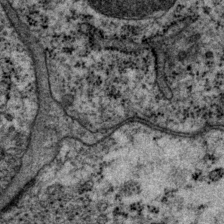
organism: P. pacificus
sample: Pharynx